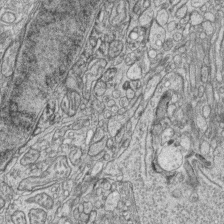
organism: Zebrafish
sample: synaptic ribbons in rod cells and cone cells